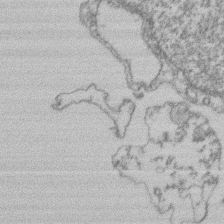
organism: Mouse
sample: T cell stromal cell synapse